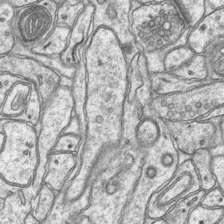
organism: Mouse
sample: CA1 Hippocampus